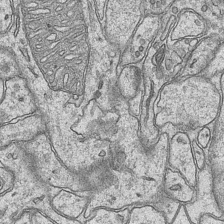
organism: Mouse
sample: CA1 Hippocampus